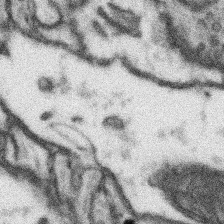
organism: Mouse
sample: Somatosensory cortex neuropil